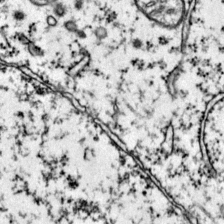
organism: Mouse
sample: Primary visual cortex